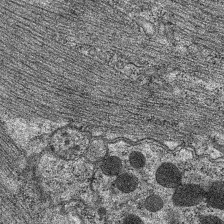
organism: C. elegans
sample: Pharynx